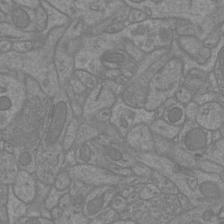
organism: Mouse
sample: Cortical neurons